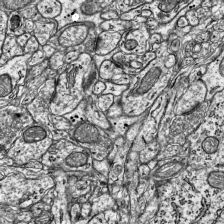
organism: Mouse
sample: Visual Cortex